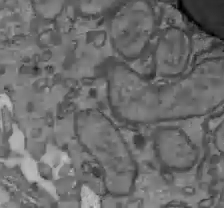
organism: C57BL Mouse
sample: Liver